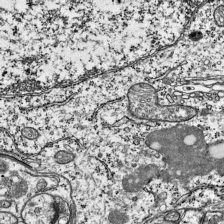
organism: Mouse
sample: Visual Cortex